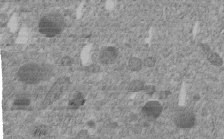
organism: C. elegans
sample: C. elegans embryo early stage